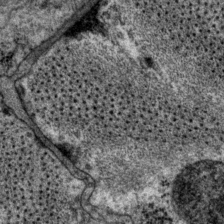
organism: P. pacificus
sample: Pharynx